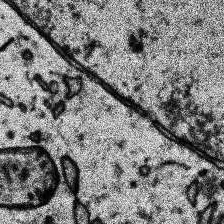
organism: Human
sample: Temporal Lobe